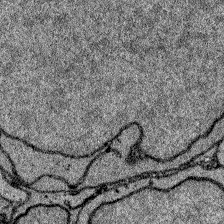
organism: Zebrafish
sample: Larval olfactory bulb